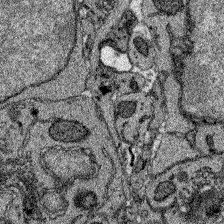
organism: Zebrafish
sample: Larval olfactory bulb